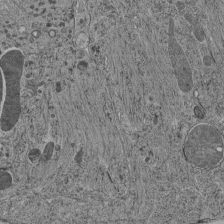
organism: C. elegans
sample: C. elegans pharynx